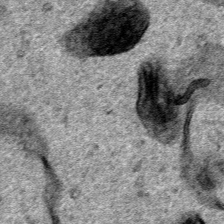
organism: Human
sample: Mitochondria in HCT116 cells